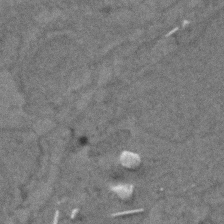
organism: Zebrafish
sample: Zebrafish embryo